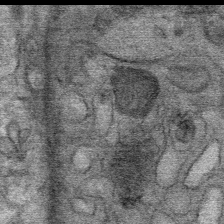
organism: Mouse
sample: Mouse Salivary gland